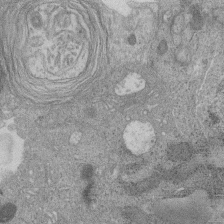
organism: Human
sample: Retinal organoid Rod and Cone cells